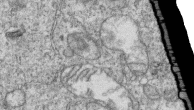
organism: Human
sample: HeLa cell HIV synapse